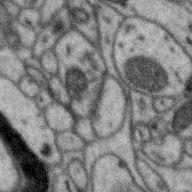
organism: Zebra finch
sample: Brain